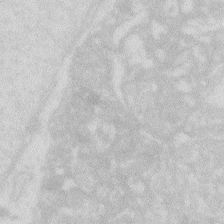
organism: Zebrafish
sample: Macrophage